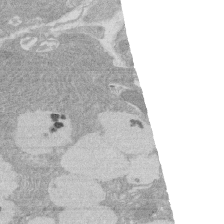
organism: Rat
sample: Salivary granule